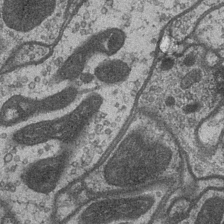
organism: Drosophila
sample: Optic medulla